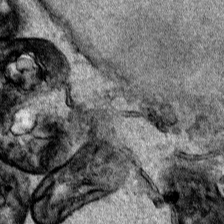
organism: Human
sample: Mitochondria in HCT116 cells